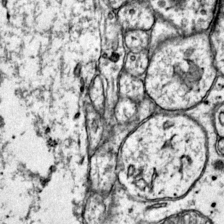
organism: Mouse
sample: Primary visual cortex